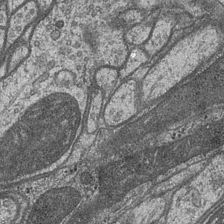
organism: Drosophila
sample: Optic medulla